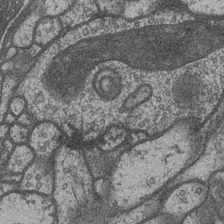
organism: Drosophila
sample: Optic medulla